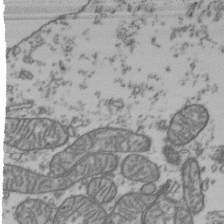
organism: Human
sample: Activated Jurkat CD4+ T cells